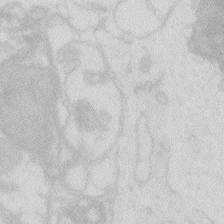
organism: Zebrafish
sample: Macrophage